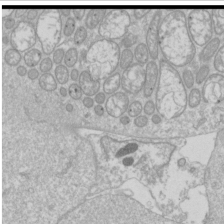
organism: Drosophila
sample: Cell division; meiosis; drosophila spermatocytes